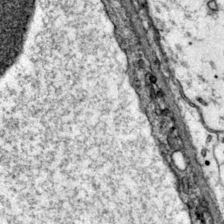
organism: Mouse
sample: Primary visual cortex